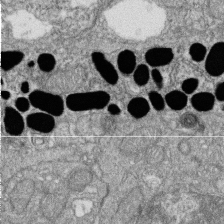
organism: Zebrafish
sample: Cilia; retinal pigment epithelium